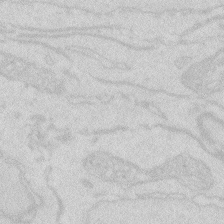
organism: Zebrafish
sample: Macrophage